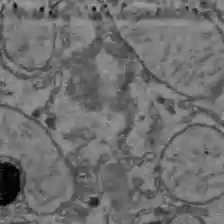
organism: C57BL Mouse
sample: Liver